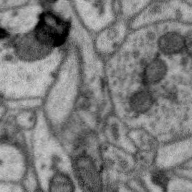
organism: Zebra finch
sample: Brain